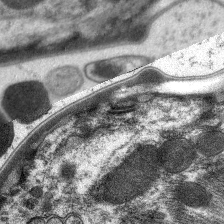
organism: C. elegans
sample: Pharynx